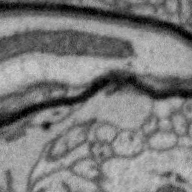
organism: Zebra finch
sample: Brain